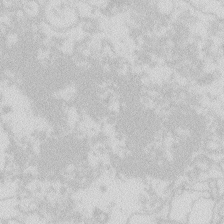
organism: Zebrafish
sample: Macrophage